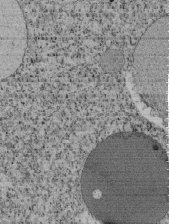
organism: Tetrahymena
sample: Cilia in tetrahymena